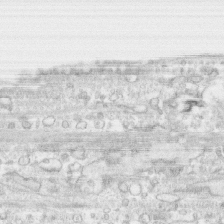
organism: Human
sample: CRL-1474